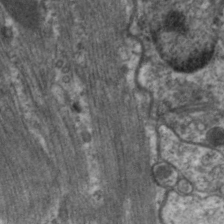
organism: C. elegans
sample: Pharynx